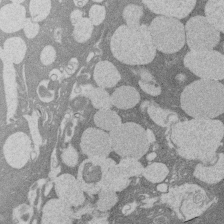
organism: Rat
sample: Salivary granule